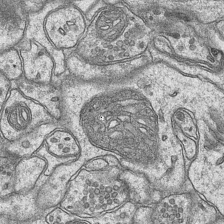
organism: Mouse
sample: CA1 Hippocampus